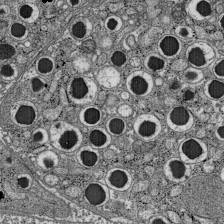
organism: C57BL Mouse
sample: Pancreatic islet